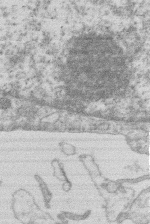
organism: Human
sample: Macrophage cells